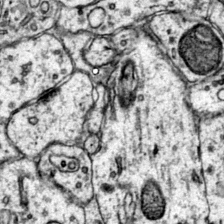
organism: Mouse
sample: Primary visual cortex